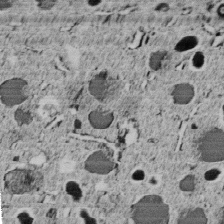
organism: C. elegans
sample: C. elegans embryo early stage